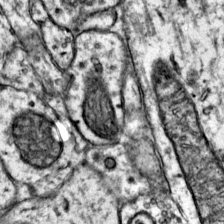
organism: Mouse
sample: Primary visual cortex